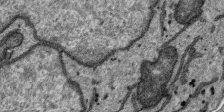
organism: Human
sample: Lung epithelial cells, uninfected (mock) control